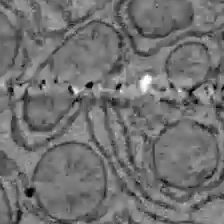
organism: C57BL Mouse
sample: Liver